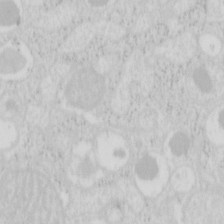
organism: Mouse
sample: Pancreas